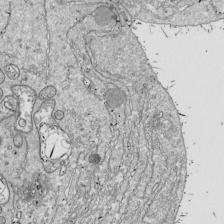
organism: Drosophila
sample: Cell division; meiosis; drosophila spermatocytes